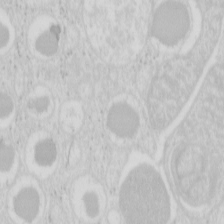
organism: Mouse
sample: Pancreas